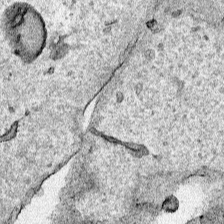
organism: Human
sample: Mitochondria in HCT116 cells